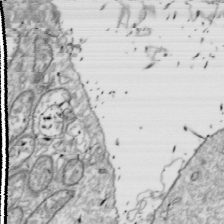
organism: Drosophila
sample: Cell division; meiosis; drosophila spermatocytes